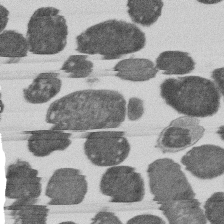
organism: E. coli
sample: Bacterial nucleoid